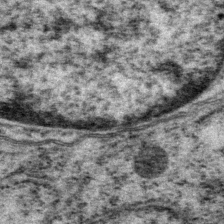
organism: P. pacificus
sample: Pharynx